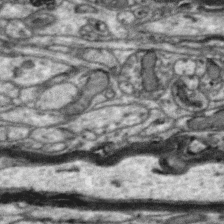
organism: Zebra finch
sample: Brain